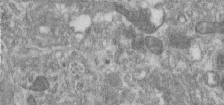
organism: Human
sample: Centriole in RPE cells